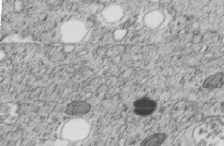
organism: C. elegans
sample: C. elegans embryo early stage